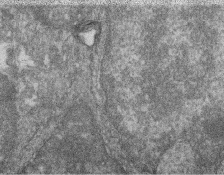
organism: Zebrafish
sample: Cilia; retinal pigment epithelium